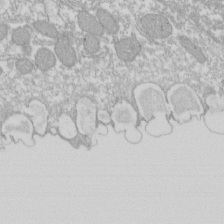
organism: Xenopus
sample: Cilia; centrioles in frog embryo cells